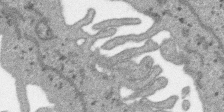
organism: Human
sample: Lung epithelial cells infected with SARS-CoV-2